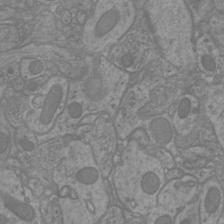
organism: Mouse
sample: Cortical neurons